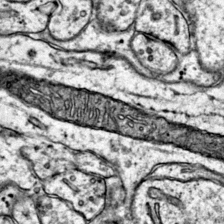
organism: Mouse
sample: Primary visual cortex